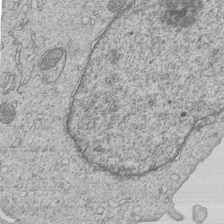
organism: Human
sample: MDA-MB-231 cells